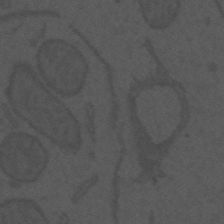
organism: Mouse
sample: Suprachiasmatic nucleus